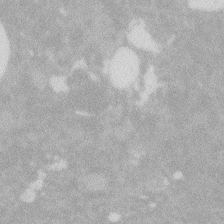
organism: Zebrafish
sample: Macrophage